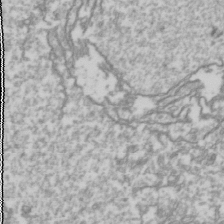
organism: Drosophila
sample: Cell division; meiosis; drosophila spermatocytes